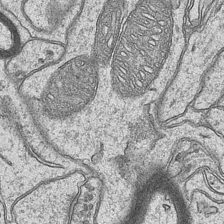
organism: Mouse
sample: CA1 Hippocampus